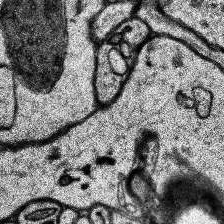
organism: Human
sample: Temporal Lobe